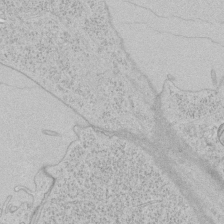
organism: Human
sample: Mitochondria in HCT116 cells